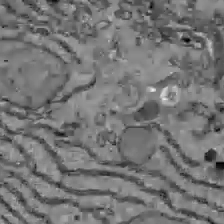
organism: C57BL Mouse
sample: Liver